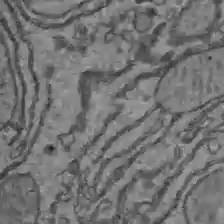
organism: C57BL Mouse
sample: Liver